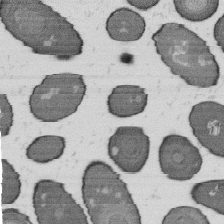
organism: B. subtilis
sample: Bacterial spore